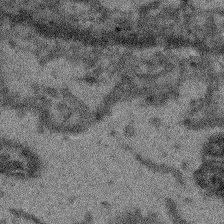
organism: Arabidopsis thaliana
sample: Root tip